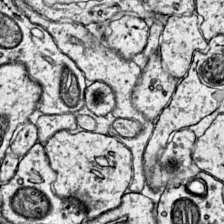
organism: Mouse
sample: Primary visual cortex